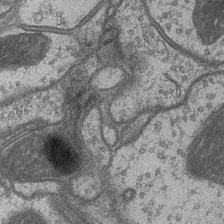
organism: Drosophila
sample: Optic medulla